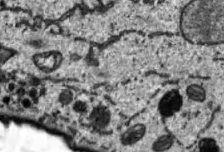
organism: Human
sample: HeLa cells